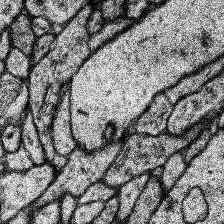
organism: Human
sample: Temporal Lobe